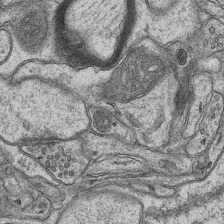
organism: Mouse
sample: CA1 Hippocampus